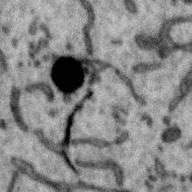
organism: Zebra finch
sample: Brain